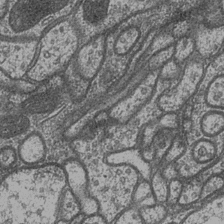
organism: Drosophila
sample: Optic medulla